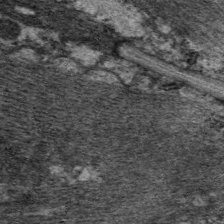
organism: C. elegans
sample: Pharynx